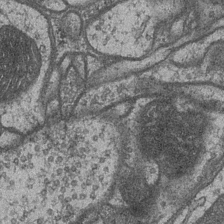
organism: Drosophila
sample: Optic medulla